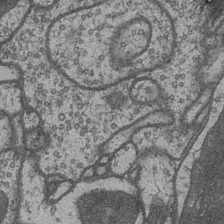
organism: Drosophila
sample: Optic medulla